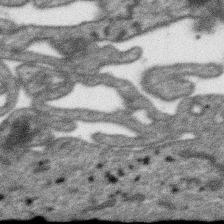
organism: Human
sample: Lung epithelial cells infected with SARS-CoV-2